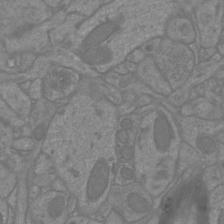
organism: Mouse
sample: Cortical neurons